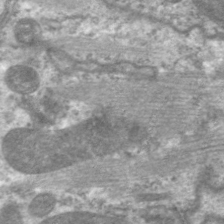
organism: C. elegans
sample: Pharynx